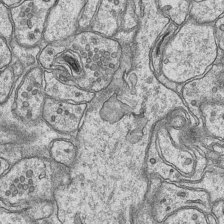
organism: Mouse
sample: CA1 Hippocampus